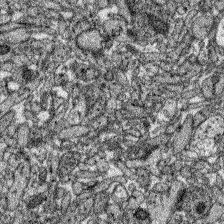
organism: Zebrafish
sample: Larval olfactory bulb